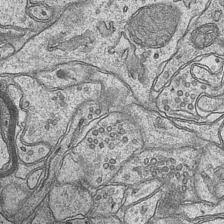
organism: Mouse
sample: CA1 Hippocampus